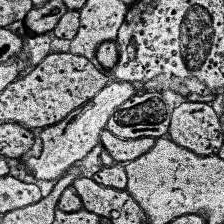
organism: Human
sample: Temporal Lobe